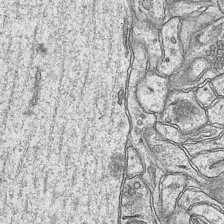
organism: Mouse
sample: CA1 Hippocampus